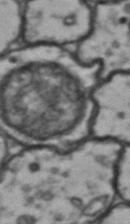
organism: Drosophila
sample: Brain